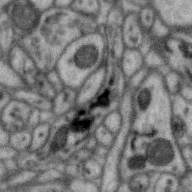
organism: Zebra finch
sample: Brain